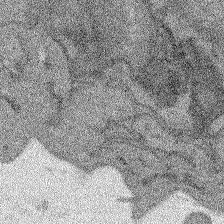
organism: Human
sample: HeLa cells